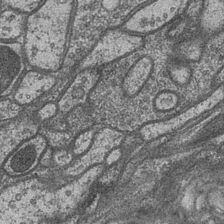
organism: Drosophila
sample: Optic medulla